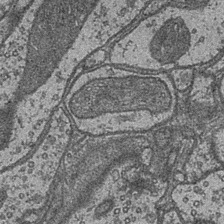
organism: Drosophila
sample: Optic medulla